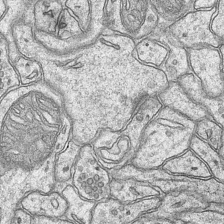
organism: Mouse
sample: CA1 Hippocampus